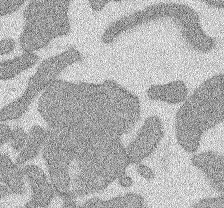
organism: Human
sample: HeLa cells